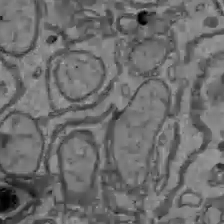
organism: C57BL Mouse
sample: Liver